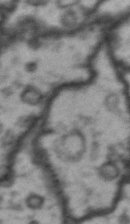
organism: Drosophila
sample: Brain